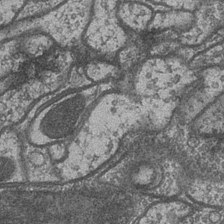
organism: Drosophila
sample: Optic medulla